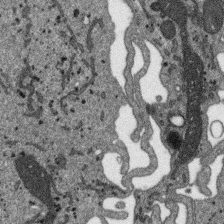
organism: Human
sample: Lung epithelial cells infected with SARS-CoV-2